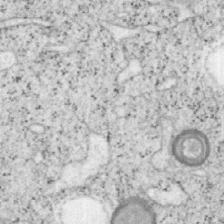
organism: Mouse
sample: OT-I killer T cells with ID8 ovarian cancer cells